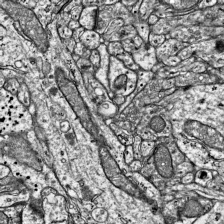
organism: Mouse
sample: Visual Cortex